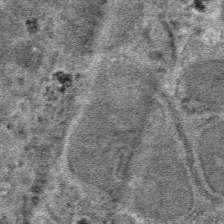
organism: Mouse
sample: Mouse hepatocytes